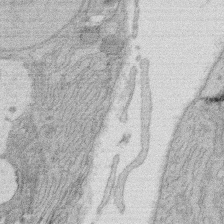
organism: Rat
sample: Salivary granule